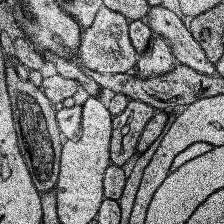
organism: Human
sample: Temporal Lobe